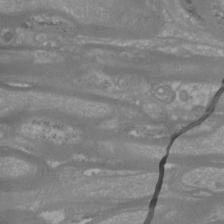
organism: Mouse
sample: Cortical neurons